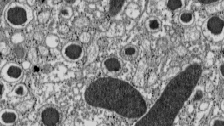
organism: C57BL Mouse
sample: Pancreatic islet